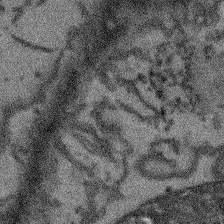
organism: Arabidopsis thaliana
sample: Root tip